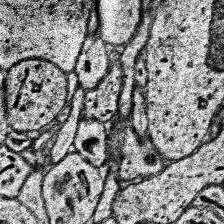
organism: Human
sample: Temporal Lobe